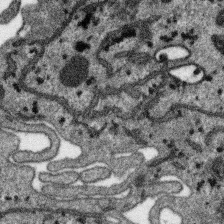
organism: Human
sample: Lung epithelial cells infected with SARS-CoV-2